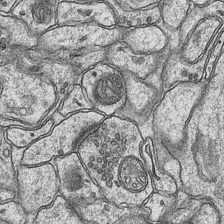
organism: Mouse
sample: CA1 Hippocampus